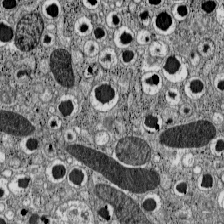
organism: C57BL Mouse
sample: Pancreatic islet